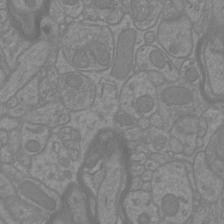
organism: Mouse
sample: Cortical neurons